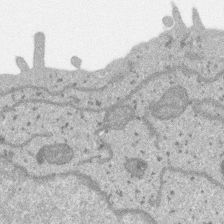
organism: Human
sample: Lung epithelial cells infected with SARS-CoV-2